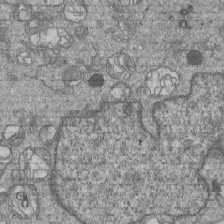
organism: Human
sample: MDA-MB-231 cells